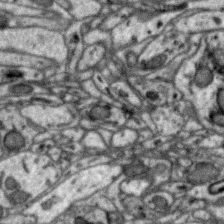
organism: Zebra finch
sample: Brain